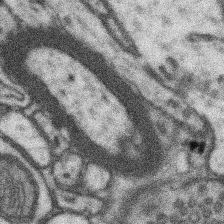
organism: Mouse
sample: Somatosensory cortex neuropil